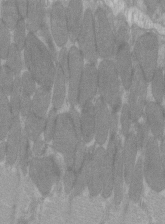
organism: C57BL Mouse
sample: Tibialis anterior muscle cell